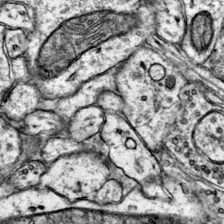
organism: Mouse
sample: Primary visual cortex